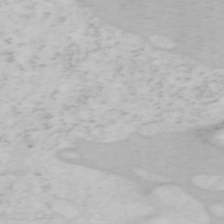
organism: Mouse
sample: OT-I killer T cells with ID8 ovarian cancer cells